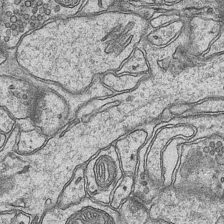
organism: Mouse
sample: CA1 Hippocampus